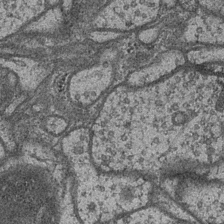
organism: Drosophila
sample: Optic medulla